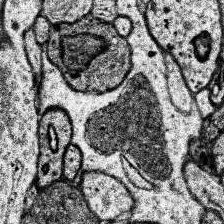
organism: Human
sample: Temporal Lobe